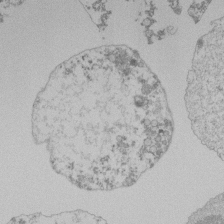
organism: Mouse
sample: Activated Pmel transgenic CD8+ T Cells